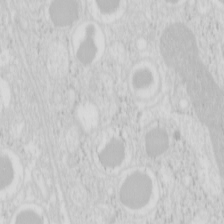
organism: Mouse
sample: Pancreas